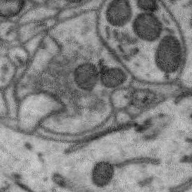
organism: Zebra finch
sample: Brain